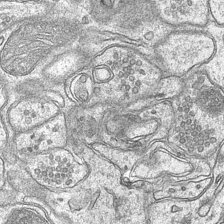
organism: Mouse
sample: CA1 Hippocampus